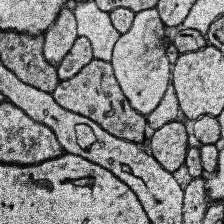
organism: Human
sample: Temporal Lobe